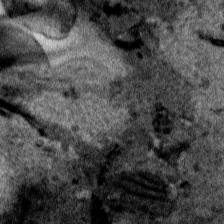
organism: Human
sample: Mitochondria in HCT116 cells